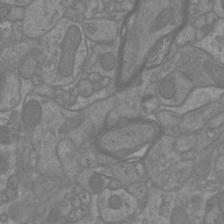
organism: Mouse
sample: Cortical neurons